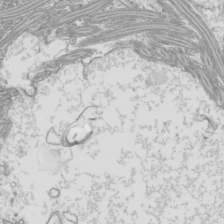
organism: Mouse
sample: Cilia; mouse epididymis